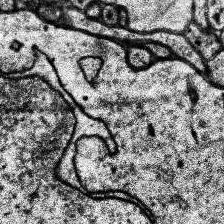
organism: Human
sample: Temporal Lobe